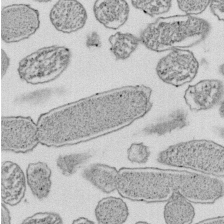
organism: E. coli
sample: Bacterial nucleoid